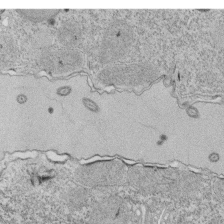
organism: Tetrahymena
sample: Cilia in tetrahymena